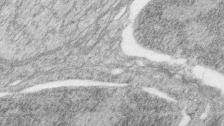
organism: Zebrafish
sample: synaptic ribbons in rod cells and cone cells